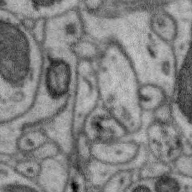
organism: Zebra finch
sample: Brain